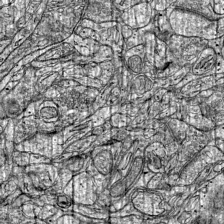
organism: Mouse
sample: Visual Cortex